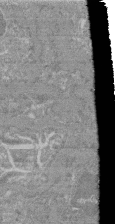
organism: Mouse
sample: Glomerulus